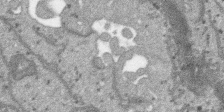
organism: Human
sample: Lung epithelial cells infected with SARS-CoV-2